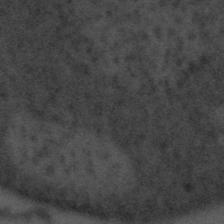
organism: Tuwongella immobilis